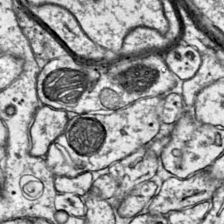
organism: Mouse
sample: Primary visual cortex